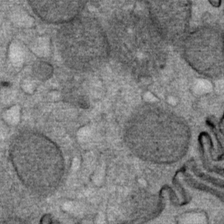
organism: Mouse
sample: Mouse Salivary gland